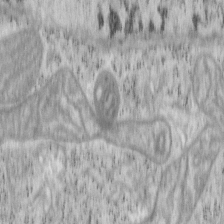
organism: Human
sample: HeLa cells